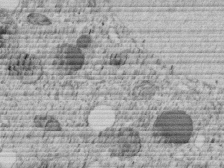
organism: C. elegans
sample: C. elegans embryo early stage